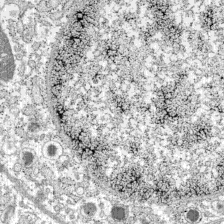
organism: C57BL Mouse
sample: Pancreatic islet